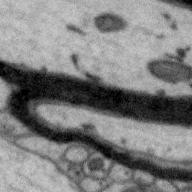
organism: Zebra finch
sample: Brain